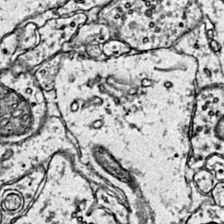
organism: Mouse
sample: Primary visual cortex